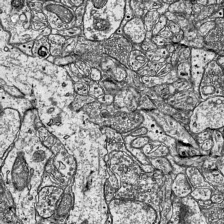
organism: Mouse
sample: Visual Cortex